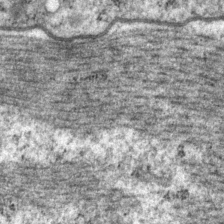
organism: P. pacificus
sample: Pharynx